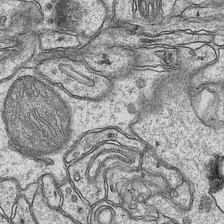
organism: Mouse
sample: CA1 Hippocampus